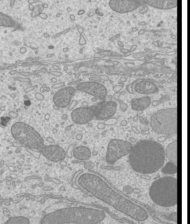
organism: Mouse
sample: Cilia; mouse epididymis